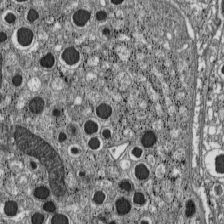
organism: C57BL Mouse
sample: Pancreatic islet